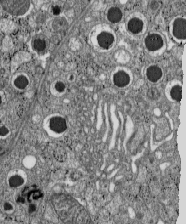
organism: C57BL Mouse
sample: Pancreatic islet